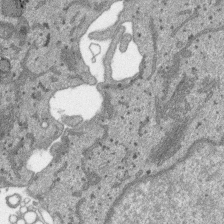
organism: Human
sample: Lung epithelial cells infected with SARS-CoV-2